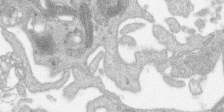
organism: Human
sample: Lung epithelial cells infected with SARS-CoV-2